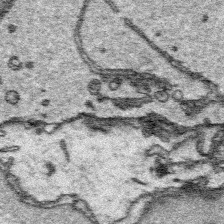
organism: Platynereis dumerilii